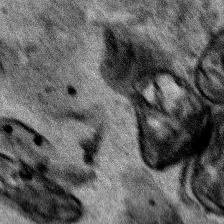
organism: Human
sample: Mitochondria in HCT116 cells